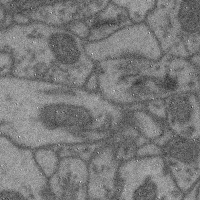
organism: Mouse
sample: Cerebral cortex